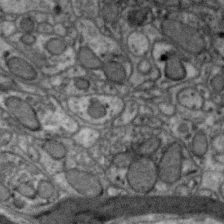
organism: Zebra finch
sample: Brain